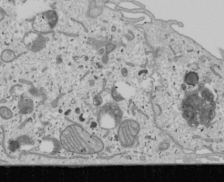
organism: Human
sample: Mitochondria in U2OS cells